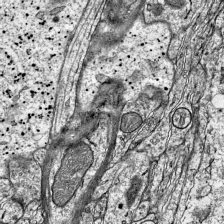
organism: Mouse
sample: Visual Cortex